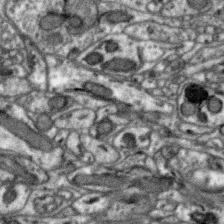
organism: Zebra finch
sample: Brain